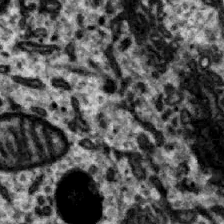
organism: Human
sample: HeLa cells